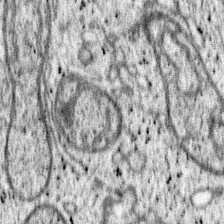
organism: Human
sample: HeLa cells